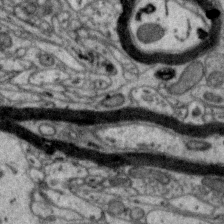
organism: Zebra finch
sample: Brain